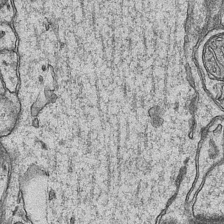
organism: Mouse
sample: CA1 Hippocampus